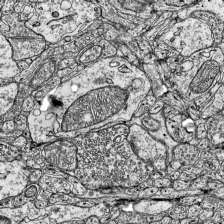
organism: Mouse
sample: Visual Cortex